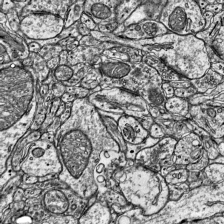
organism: Mouse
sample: Visual Cortex